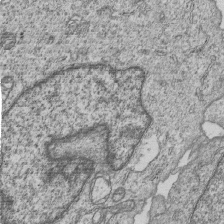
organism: Human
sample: MDA-MB-231 cells